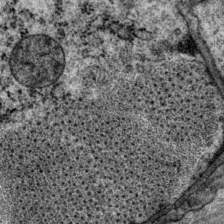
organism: P. pacificus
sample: Pharynx